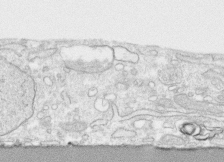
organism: Human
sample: CRL-1474